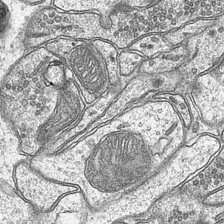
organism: Mouse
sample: CA1 Hippocampus